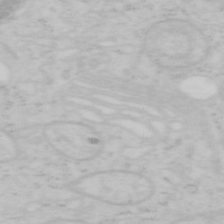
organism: Mouse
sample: OT-I killer T cells with ID8 ovarian cancer cells